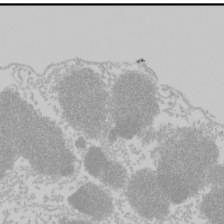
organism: Mouse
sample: Cancer cell death in ED-1 cells